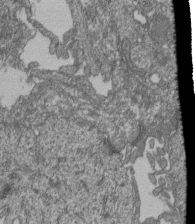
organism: Human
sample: Retinal organoid Rod and Cone cells